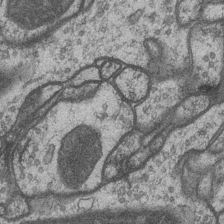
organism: Drosophila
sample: Optic medulla